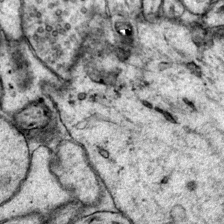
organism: Mouse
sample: Primary visual cortex